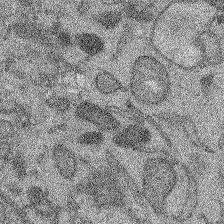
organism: Human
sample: HeLa cells